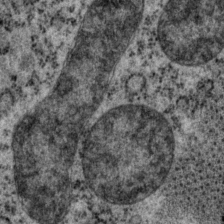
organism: P. pacificus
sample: Pharynx